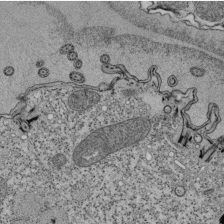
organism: Tetrahymena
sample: Cilia in tetrahymena